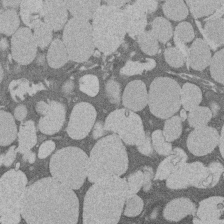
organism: Rat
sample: Salivary granule